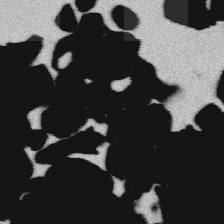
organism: Platynereis dumerilii